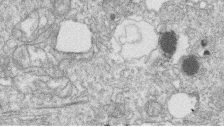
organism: Human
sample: HeLa cell HIV synapse